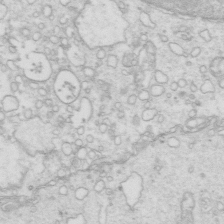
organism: Mouse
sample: Multiciliated cells